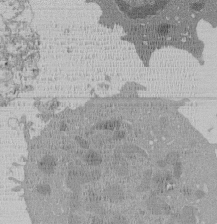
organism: Mouse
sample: Activated Pmel transgenic CD8+ T Cells